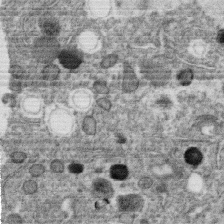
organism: C. elegans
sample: C. elegans oocyte; sperm cells